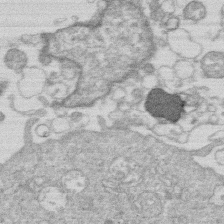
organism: Human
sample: Macrophage cells